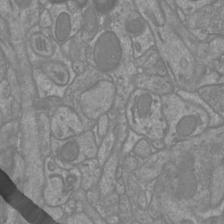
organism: Mouse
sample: Cortical neurons